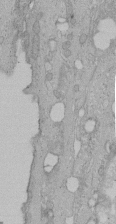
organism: Human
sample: Melanocyte Keratinocyte synapse skin construct